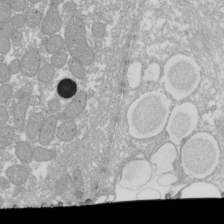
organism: Xenopus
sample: Cilia; centrioles in frog embryo cells